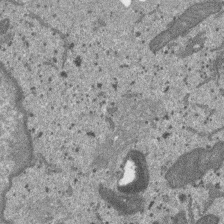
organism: Human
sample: Lung epithelial cells infected with SARS-CoV-2